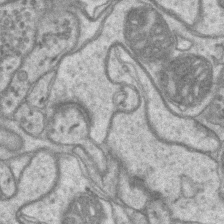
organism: Mouse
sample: CA1 Hippocampus